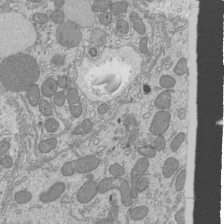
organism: Mouse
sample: Cilia; mouse epididymis